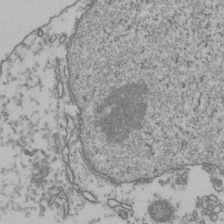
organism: Human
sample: Activated Jurkat CD4+ T cells